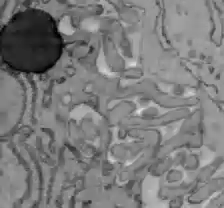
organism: C57BL Mouse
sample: Liver